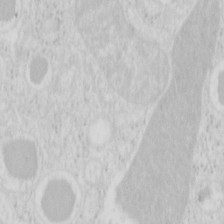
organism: Mouse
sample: Pancreas